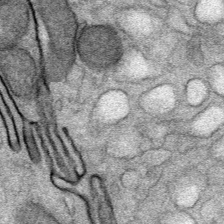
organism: Mouse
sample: Mouse Salivary gland